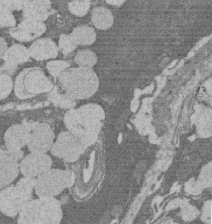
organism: Rat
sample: Salivary granule